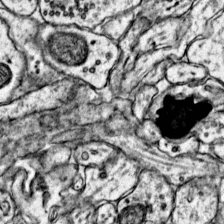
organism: Mouse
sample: Primary visual cortex